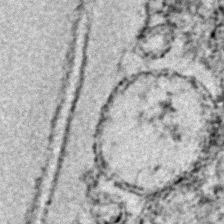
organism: E. coli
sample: E. Coli Bacteria